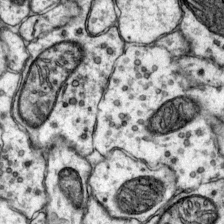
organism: Mouse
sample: Primary visual cortex